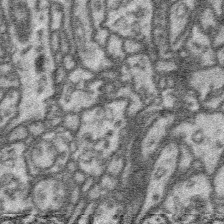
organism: Platynereis dumerilii